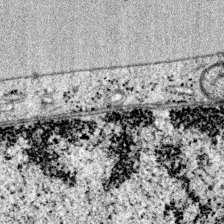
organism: Human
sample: HeLa cells